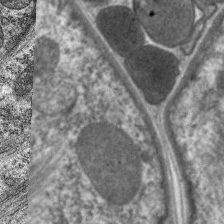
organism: C. elegans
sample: Pharynx